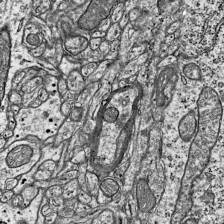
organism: Mouse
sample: Visual Cortex